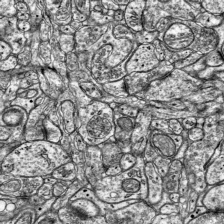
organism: Mouse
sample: Visual Cortex